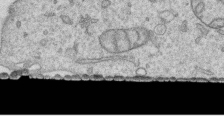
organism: Human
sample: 1205lu cells